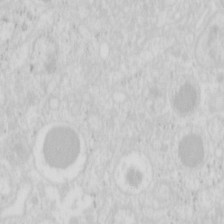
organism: Mouse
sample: Pancreas